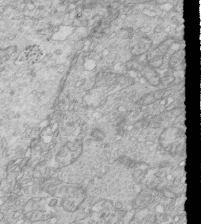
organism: Mouse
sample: Multiciliated cells